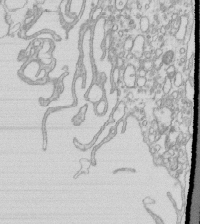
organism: Mouse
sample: Macrophages